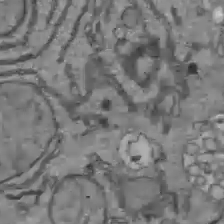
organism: C57BL Mouse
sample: Liver